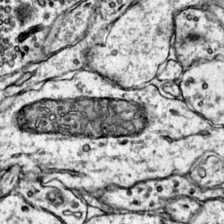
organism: Mouse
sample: Primary visual cortex